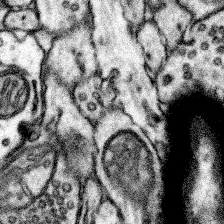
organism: Mouse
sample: Somatosensory cortex neuropil